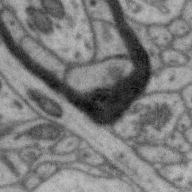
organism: Zebra finch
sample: Brain